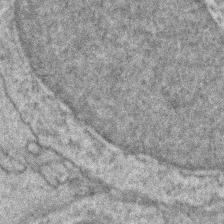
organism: Zebrafish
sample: Zebrafish embryo